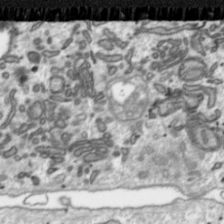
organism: Toxoplasma gondii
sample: Parasites in a vacuole inside a host cell